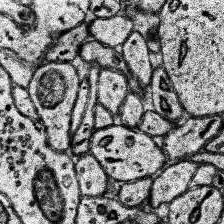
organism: Human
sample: Temporal Lobe